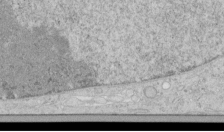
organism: Human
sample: Mitochondria in HCT116 cells